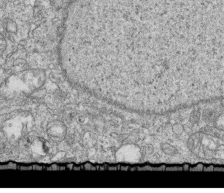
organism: Human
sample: HeLa cell HIV synapse